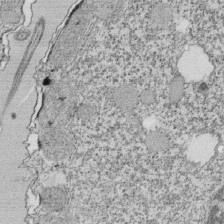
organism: Tetrahymena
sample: Cilia in tetrahymena